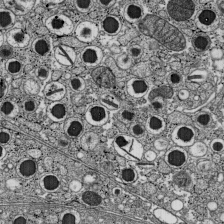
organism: C57BL Mouse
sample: Pancreatic islet